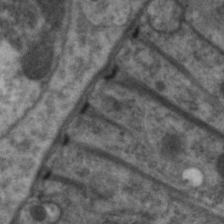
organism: C. elegans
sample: Pharynx